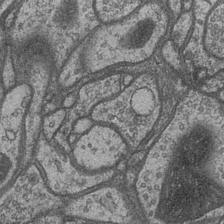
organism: Drosophila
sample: Optic medulla